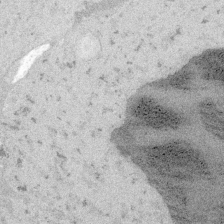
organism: Embia sp.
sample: Silk gland